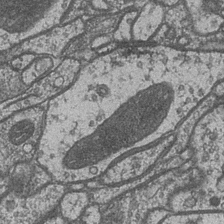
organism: Drosophila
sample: Optic medulla